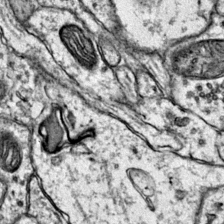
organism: Mouse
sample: Primary visual cortex